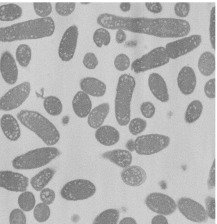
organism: E. coli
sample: Bacterial nucleoid